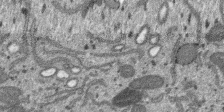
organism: Human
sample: Lung epithelial cells infected with SARS-CoV-2